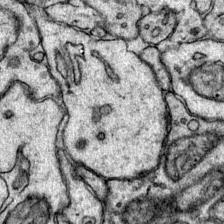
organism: Mouse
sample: Primary visual cortex